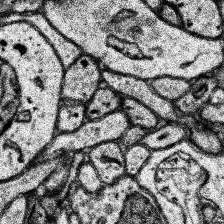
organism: Human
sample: Temporal Lobe